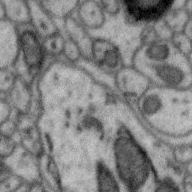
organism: Zebra finch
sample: Brain